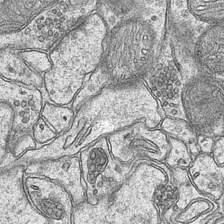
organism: Mouse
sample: CA1 Hippocampus